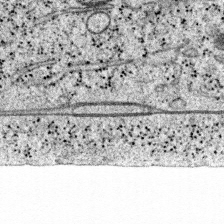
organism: Human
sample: HeLa cells